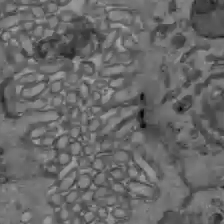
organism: C57BL Mouse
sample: Liver